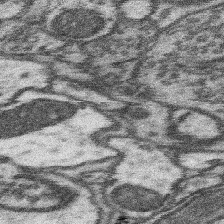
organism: Mouse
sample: Somatosensory cortex neuropil